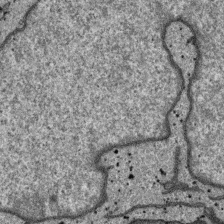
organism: Human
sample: Lung epithelial cells, uninfected (mock) control